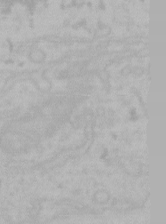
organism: Mouse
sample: Choroid plexus